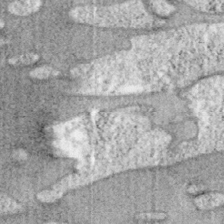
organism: Mouse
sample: OT-I killer T cells with ID8 ovarian cancer cells